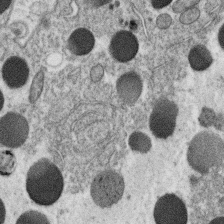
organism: C. elegans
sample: C. elegans oocyte; sperm cells